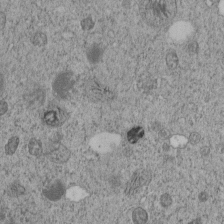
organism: C. elegans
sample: C. elegans embryo early stage